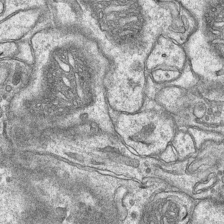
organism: Mouse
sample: CA1 Hippocampus